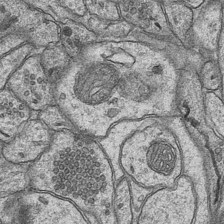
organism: Mouse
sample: CA1 Hippocampus